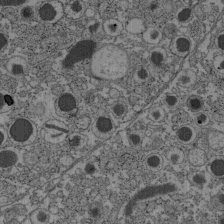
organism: C57BL Mouse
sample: Pancreatic islet